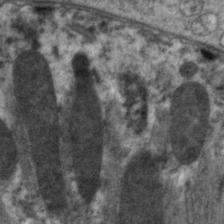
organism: C. elegans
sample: Pharynx